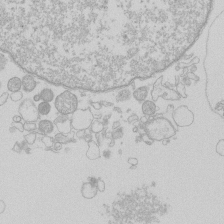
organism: Human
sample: Macrophage cells